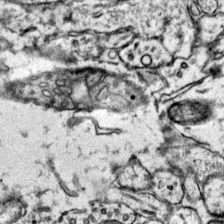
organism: Mouse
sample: Primary visual cortex